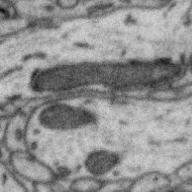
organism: Zebra finch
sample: Brain